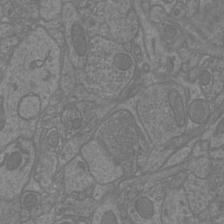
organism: Mouse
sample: Cortical neurons